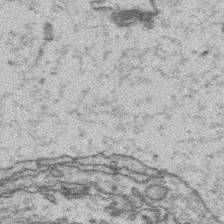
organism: Platynereis dumerilii